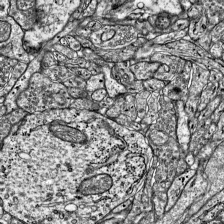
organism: Mouse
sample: Visual Cortex